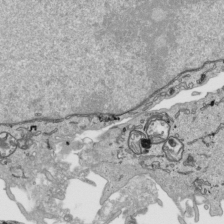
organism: Human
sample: Mitochondria in HCT116 cells